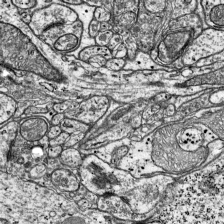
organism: Mouse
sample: Visual Cortex